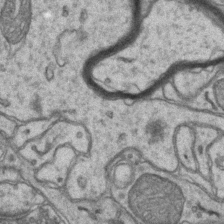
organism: Mouse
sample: CA1 Hippocampus